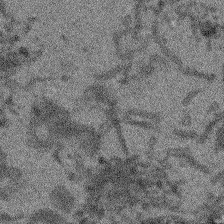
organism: Arabidopsis thaliana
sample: Root tip